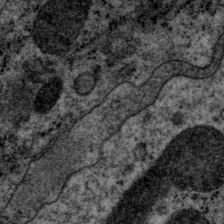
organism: P. pacificus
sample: Pharynx